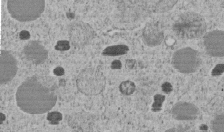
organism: C. elegans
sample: C. elegans embryo early stage